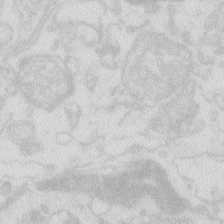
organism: Zebrafish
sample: Macrophage